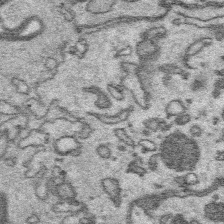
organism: Platynereis dumerilii